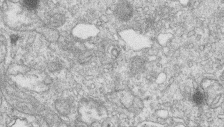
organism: Human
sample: HeLa cell HIV synapse